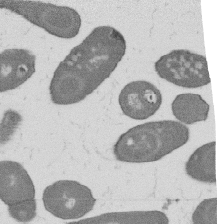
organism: B. subtilis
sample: Bacterial spore